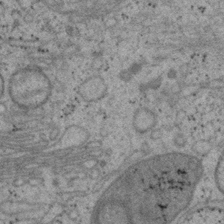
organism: Human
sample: HeLa cells